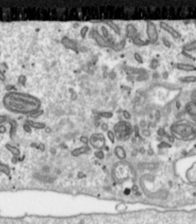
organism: Toxoplasma gondii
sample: Parasites in a vacuole inside a host cell